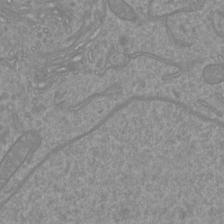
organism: Mouse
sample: Cortical neurons